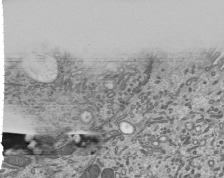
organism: Mouse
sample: Mouse epididymis efferent ductule cilia